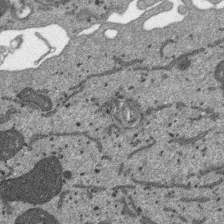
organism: Human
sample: Lung epithelial cells infected with SARS-CoV-2